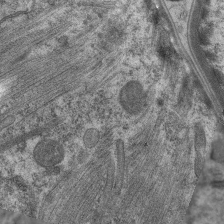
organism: C. elegans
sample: Pharynx